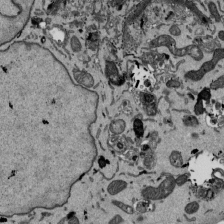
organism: Mouse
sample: ED-1 cell nuclei; centrioles